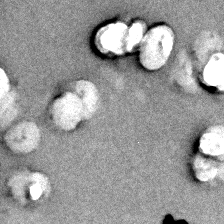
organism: C. elegans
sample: C. elegans embryo